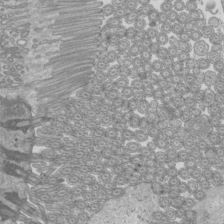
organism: Mouse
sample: Cilia; mouse epididymis